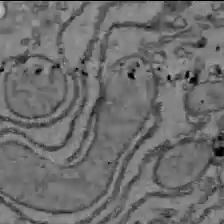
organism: C57BL Mouse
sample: Liver